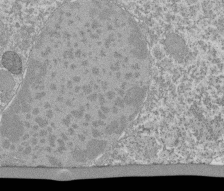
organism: Tetrahymena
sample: Cilia in tetrahymena